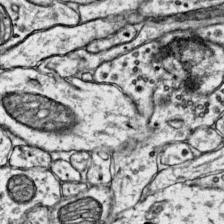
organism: Mouse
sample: Primary visual cortex